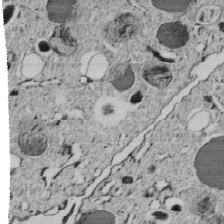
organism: C. elegans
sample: C. elegans embryo early stage